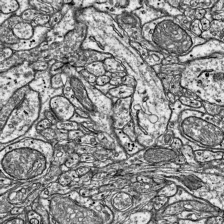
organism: Mouse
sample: Visual Cortex